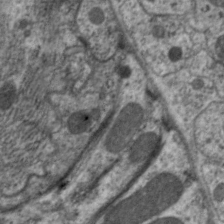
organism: C. elegans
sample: Pharynx